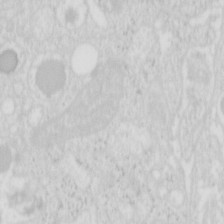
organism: Mouse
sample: Pancreas